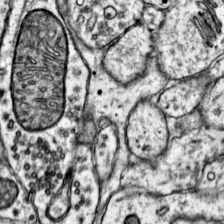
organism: Mouse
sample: Primary visual cortex